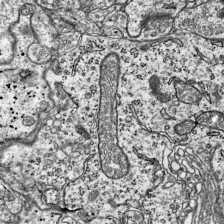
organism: Mouse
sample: Visual Cortex